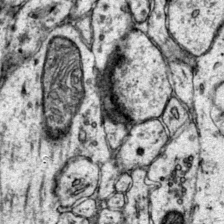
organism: Mouse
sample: Primary visual cortex